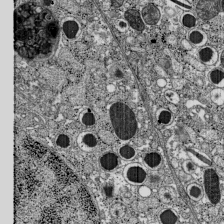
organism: C57BL Mouse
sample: Pancreatic islet